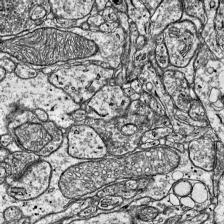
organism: Mouse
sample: Visual Cortex